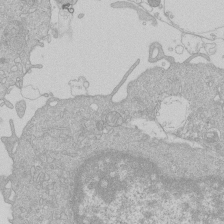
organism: Human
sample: Macrophage cells